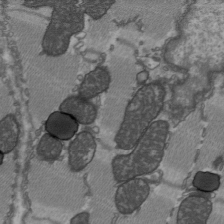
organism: C57BL Mouse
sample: Heart